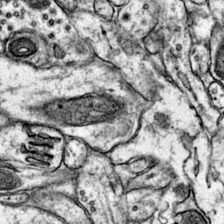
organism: Mouse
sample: Primary visual cortex